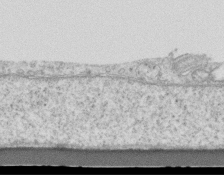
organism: Mouse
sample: Centriole in ependymal cells